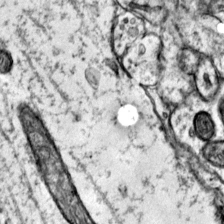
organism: Mouse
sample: Primary visual cortex